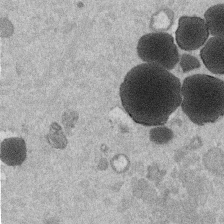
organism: Mouse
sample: Dividing mouse embryo 1 cell stage